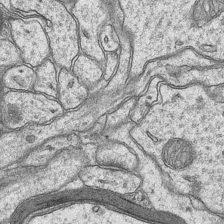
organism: Mouse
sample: CA1 Hippocampus